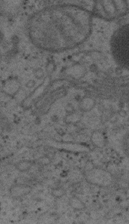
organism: Human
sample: HeLa cells